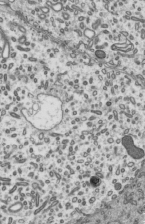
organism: Mouse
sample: Mouse epididymis efferent ductule cilia